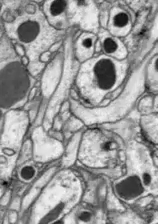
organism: Drosophila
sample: Optic lobe